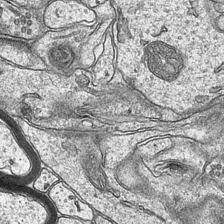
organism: Mouse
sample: CA1 Hippocampus